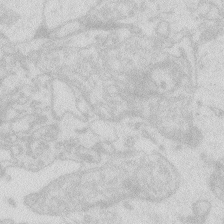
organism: Zebrafish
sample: Macrophage